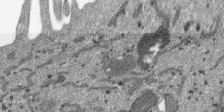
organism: Human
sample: Lung epithelial cells infected with SARS-CoV-2